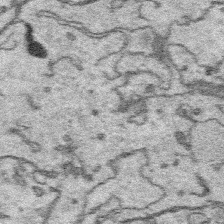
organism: Platynereis dumerilii